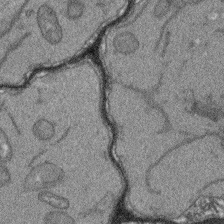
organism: Arabidopsis thaliana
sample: Root tip